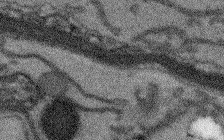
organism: Arabidopsis thaliana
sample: Root tip